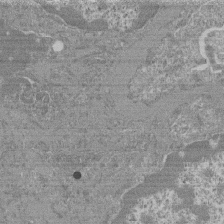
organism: Mouse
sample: Glomerulus